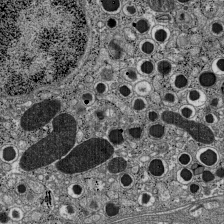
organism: C57BL Mouse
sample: Pancreatic islet